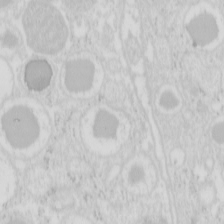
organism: Mouse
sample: Pancreas